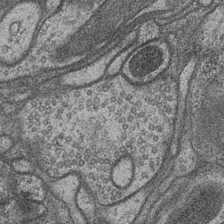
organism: Drosophila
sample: Optic medulla